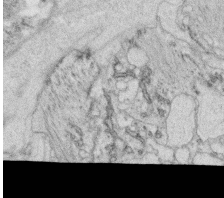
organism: C. elegans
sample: C. elegans oocyte; sperm cells